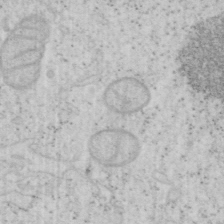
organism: Human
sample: HeLa cells